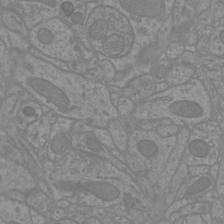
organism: Mouse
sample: Cortical neurons